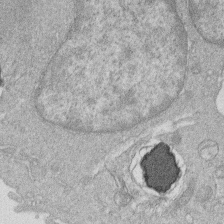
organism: Human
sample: Macrophage cells